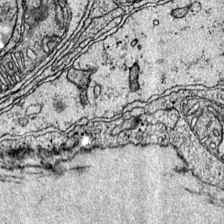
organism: Mouse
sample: Primary visual cortex